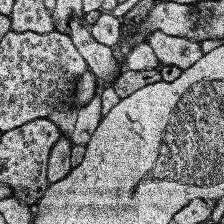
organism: Human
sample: Temporal Lobe